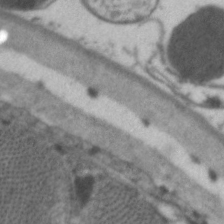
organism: C. elegans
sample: Pharynx